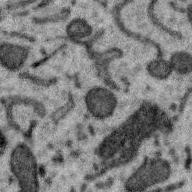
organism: Zebra finch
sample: Brain